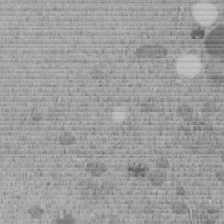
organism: C. elegans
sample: C. elegans embryo early stage